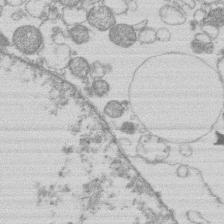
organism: Human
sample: Macrophage cells